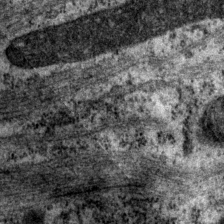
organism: P. pacificus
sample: Pharynx